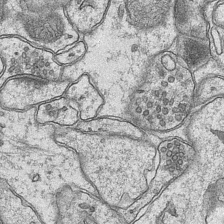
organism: Mouse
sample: CA1 Hippocampus